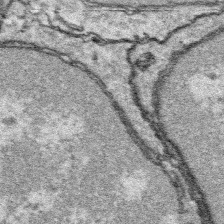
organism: Platynereis dumerilii